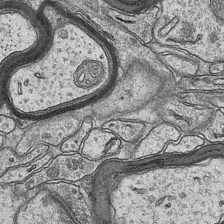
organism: Mouse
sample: CA1 Hippocampus